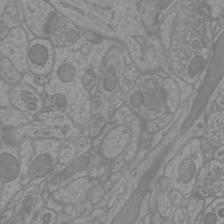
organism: Mouse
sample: Cortical neurons